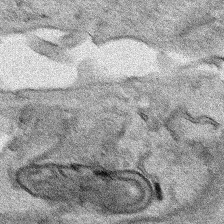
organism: Human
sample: Mitochondria in HCT116 cells